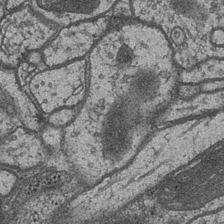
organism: Drosophila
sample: Optic medulla